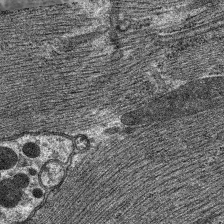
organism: C. elegans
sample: Pharynx